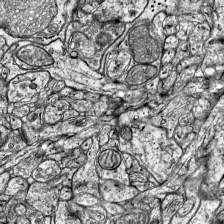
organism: Mouse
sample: Visual Cortex